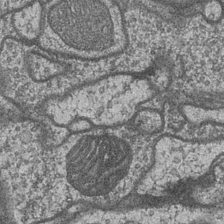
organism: Drosophila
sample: Optic medulla